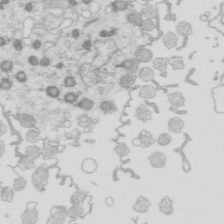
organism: Mouse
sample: Multiciliated cells